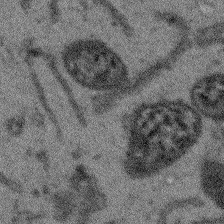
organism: Arabidopsis thaliana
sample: Root tip